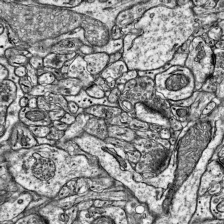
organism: Mouse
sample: Visual Cortex